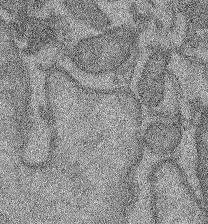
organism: Human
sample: HeLa cells